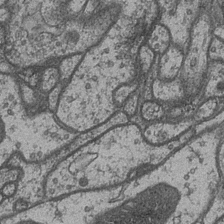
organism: Drosophila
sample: Optic medulla